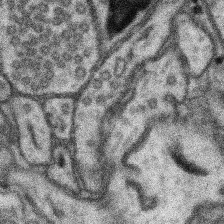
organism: Mouse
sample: Somatosensory cortex neuropil